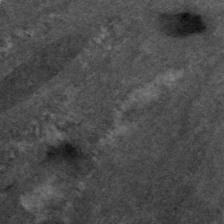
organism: C. elegans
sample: Pharynx